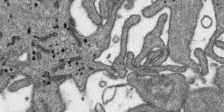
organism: Human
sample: Lung epithelial cells, uninfected (mock) control